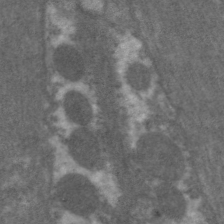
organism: C. elegans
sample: Pharynx